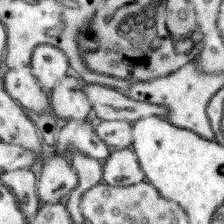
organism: Mouse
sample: Somatosensory cortex neuropil